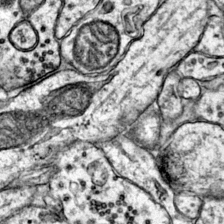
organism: Mouse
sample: Primary visual cortex